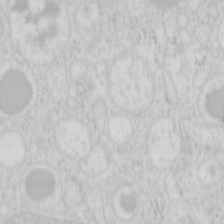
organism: Mouse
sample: Pancreas